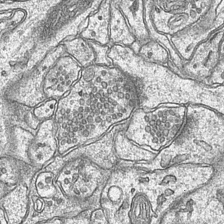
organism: Mouse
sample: CA1 Hippocampus